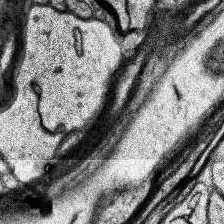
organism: Human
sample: Temporal Lobe